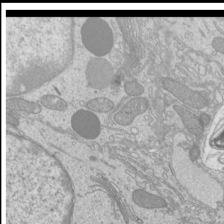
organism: Mouse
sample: Cilia; mouse epididymis